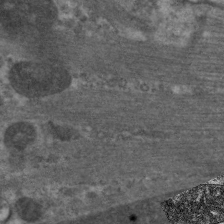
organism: C. elegans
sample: Pharynx